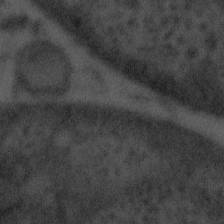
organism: Tuwongella immobilis